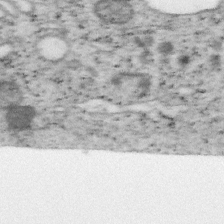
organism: Mouse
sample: OT-I killer T cells with ID8 ovarian cancer cells